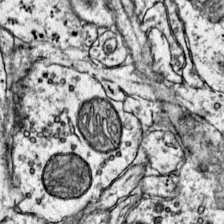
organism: Mouse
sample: Primary visual cortex